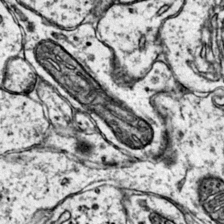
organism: Mouse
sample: Primary visual cortex